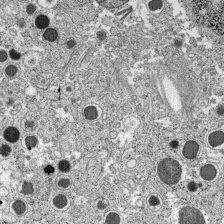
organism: C57BL Mouse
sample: Pancreatic islet